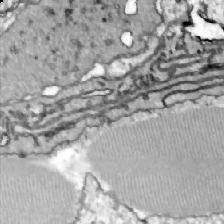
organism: Zebrafish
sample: Actinotrichia fibers